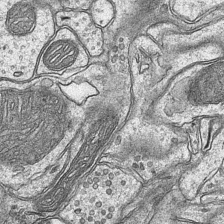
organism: Mouse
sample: CA1 Hippocampus